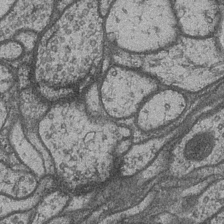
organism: Drosophila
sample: Optic medulla